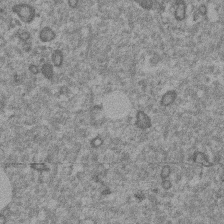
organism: Mouse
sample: Dividing mouse embryo 1 cell stage